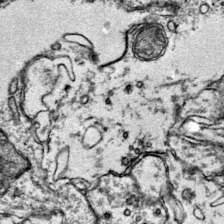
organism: Mouse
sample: Primary visual cortex